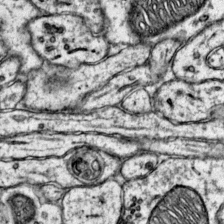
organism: Mouse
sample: Primary visual cortex